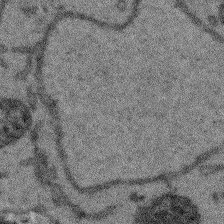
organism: Arabidopsis thaliana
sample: Root tip